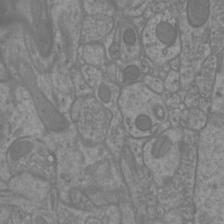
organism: Mouse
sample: Cortical neurons